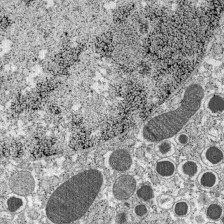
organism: C57BL Mouse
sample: Pancreatic islet